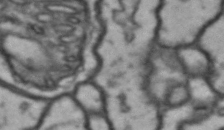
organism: Drosophila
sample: Brain